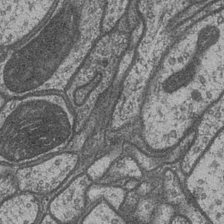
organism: Drosophila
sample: Optic medulla